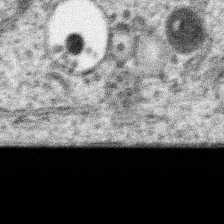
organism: Human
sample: HeLa cells